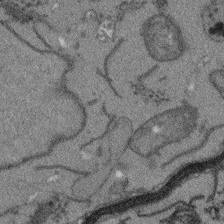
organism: Arabidopsis thaliana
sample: Root tip